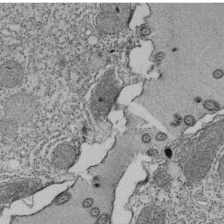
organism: Tetrahymena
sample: Cilia in tetrahymena